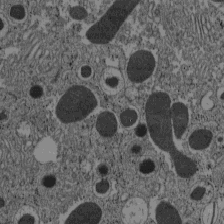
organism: C57BL Mouse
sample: Pancreatic islet